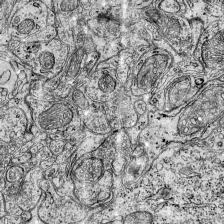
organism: Mouse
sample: Visual Cortex